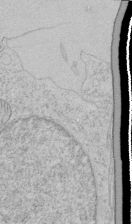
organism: Human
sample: Mitochondria in HCT116 cells